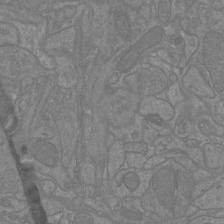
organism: Mouse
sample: Cortical neurons